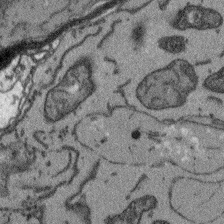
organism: Arabidopsis thaliana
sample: Root tip